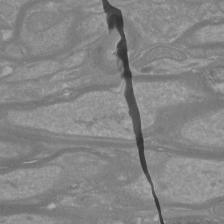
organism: Mouse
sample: Cortical neurons